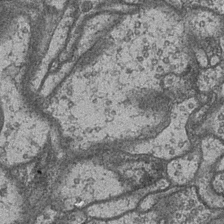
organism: Drosophila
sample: Optic medulla